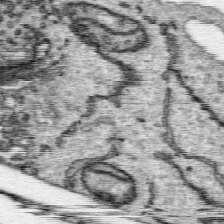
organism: Human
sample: HeLa cells